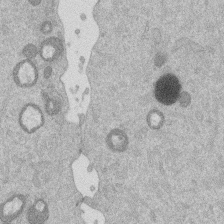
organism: Mouse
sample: Dividing mouse embryo 1 cell stage